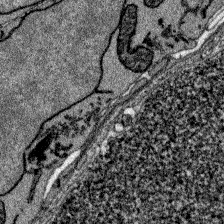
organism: Zebrafish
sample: Larval olfactory bulb